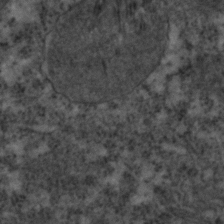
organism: C. elegans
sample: C. elegans embryo